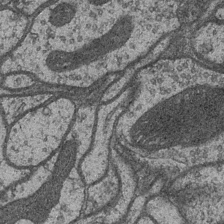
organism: Drosophila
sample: Optic medulla